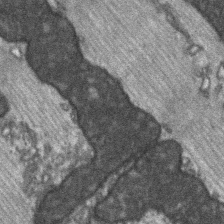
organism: C57BL Mouse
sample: Soleus